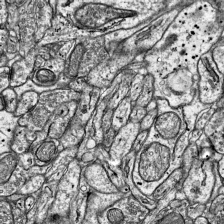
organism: Mouse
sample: Visual Cortex